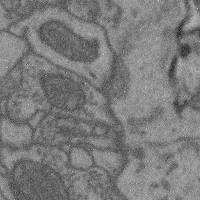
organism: Mouse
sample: Cerebral cortex